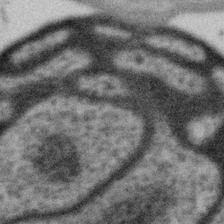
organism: Gemmata obscuriglobus